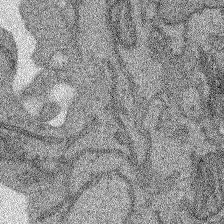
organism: Human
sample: HeLa cells